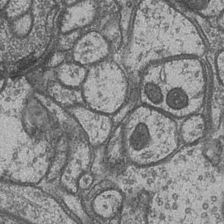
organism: Drosophila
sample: Optic medulla